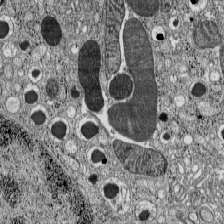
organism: C57BL Mouse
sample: Pancreatic islet